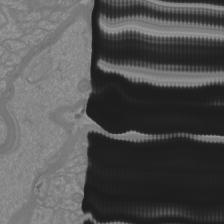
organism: Mouse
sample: Cortical neurons